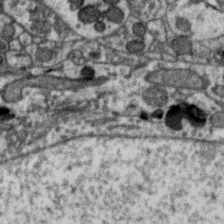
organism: Zebra finch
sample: Brain